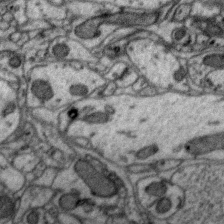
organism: Zebra finch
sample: Brain